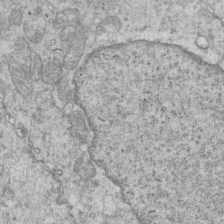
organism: Mouse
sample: Multiciliated cells